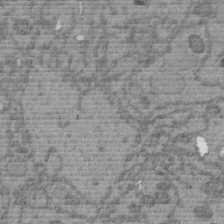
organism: C. elegans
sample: C. elegans embryo early stage